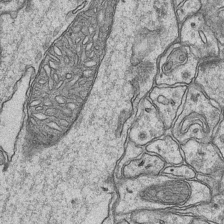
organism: Mouse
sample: CA1 Hippocampus